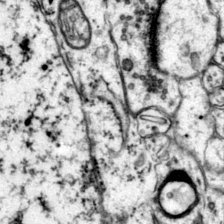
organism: Mouse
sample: Primary visual cortex